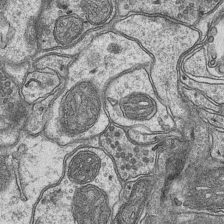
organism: Mouse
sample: CA1 Hippocampus